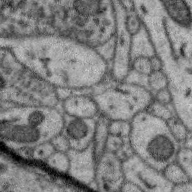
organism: Zebra finch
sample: Brain